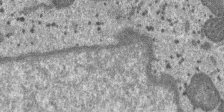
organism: Human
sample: Lung epithelial cells infected with SARS-CoV-2